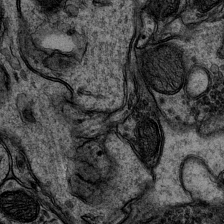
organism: Mouse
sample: CA1 Hippocampus